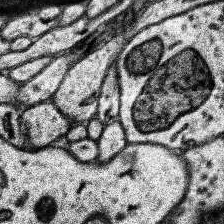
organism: Human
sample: Temporal Lobe